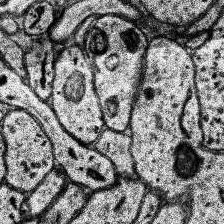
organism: Human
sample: Temporal Lobe